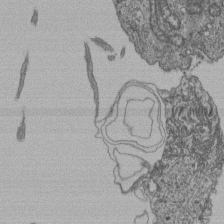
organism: Human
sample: Retinal organoid Rod and Cone cells